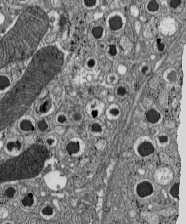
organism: C57BL Mouse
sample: Pancreatic islet